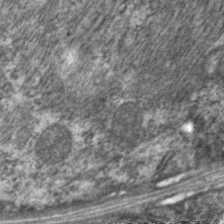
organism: C. elegans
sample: Pharynx